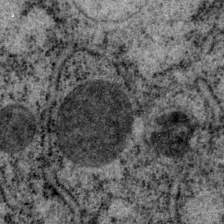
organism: P. pacificus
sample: Pharynx